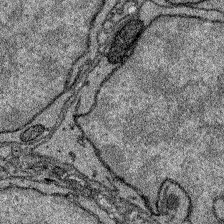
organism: Zebrafish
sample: Larval olfactory bulb